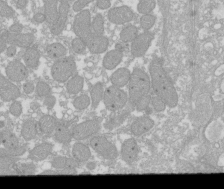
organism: Xenopus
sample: Cilia; centrioles in frog embryo cells